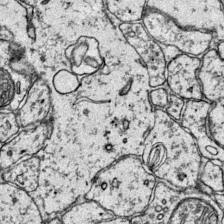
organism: Mouse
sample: Primary visual cortex